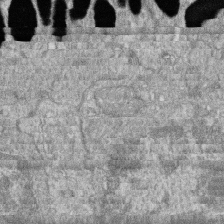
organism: Zebrafish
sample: Cilia; retinal pigment epithelium